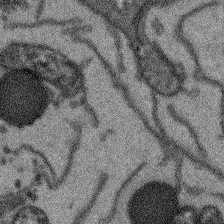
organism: Arabidopsis thaliana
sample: Root tip